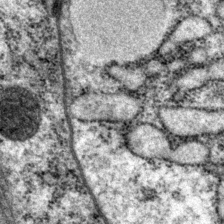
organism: P. pacificus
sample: Pharynx